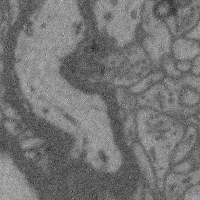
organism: Mouse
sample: Cerebral cortex